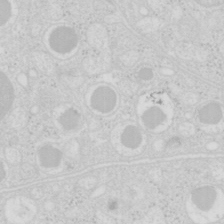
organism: Mouse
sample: Pancreas